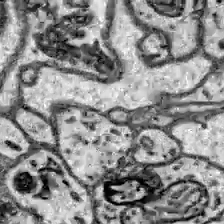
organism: Zebrafish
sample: Brain